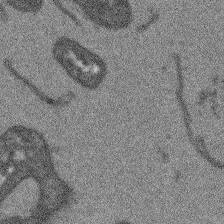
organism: Arabidopsis thaliana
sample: Root tip